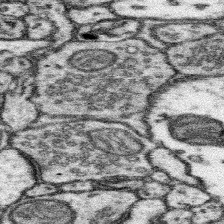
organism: Mouse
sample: Somatosensory cortex neuropil